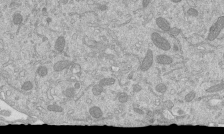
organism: Mouse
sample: ED-1 cell nuclei; centrioles